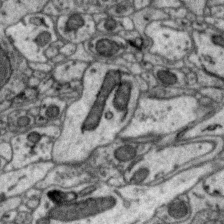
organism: Zebra finch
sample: Brain